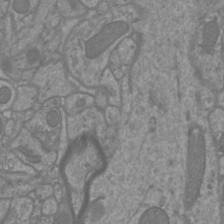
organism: Mouse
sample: Cortical neurons